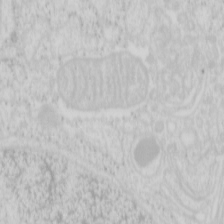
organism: Mouse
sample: Pancreas